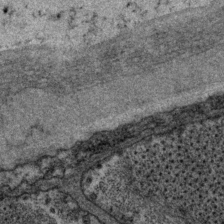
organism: P. pacificus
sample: Pharynx